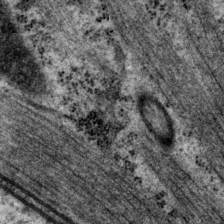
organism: P. pacificus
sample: Pharynx